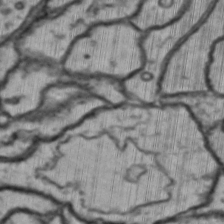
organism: Drosophila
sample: Brain